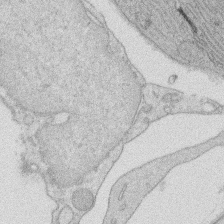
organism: Rat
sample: Salivary granule